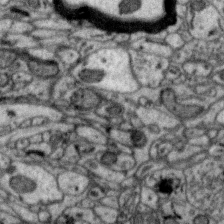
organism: Zebra finch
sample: Brain